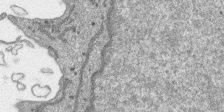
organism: Human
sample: Lung epithelial cells infected with SARS-CoV-2